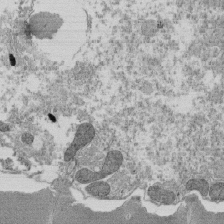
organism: Tetrahymena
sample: Cilia in tetrahymena